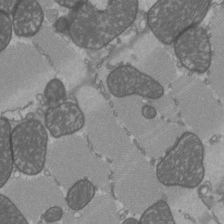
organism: C57BL Mouse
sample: Heart